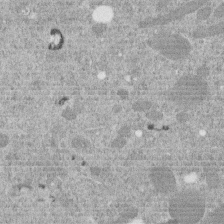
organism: C. elegans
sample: C. elegans embryo early stage